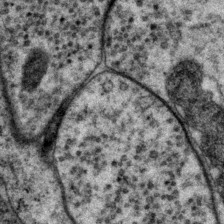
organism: P. pacificus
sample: Pharynx